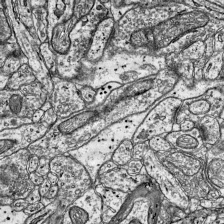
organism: Mouse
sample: Visual Cortex